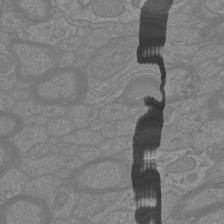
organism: Mouse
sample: Cortical neurons